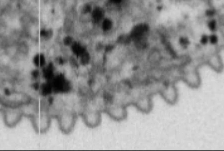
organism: Cable bacterium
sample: Filament